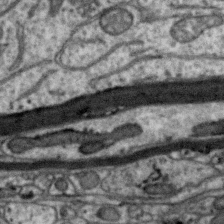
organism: Zebra finch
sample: Brain